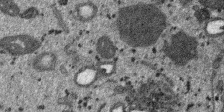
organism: Human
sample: Lung epithelial cells infected with SARS-CoV-2